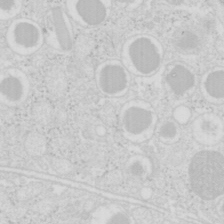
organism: Mouse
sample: Pancreas